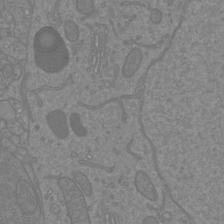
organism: Mouse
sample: Cortical neurons